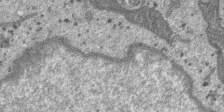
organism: Human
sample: Lung epithelial cells infected with SARS-CoV-2